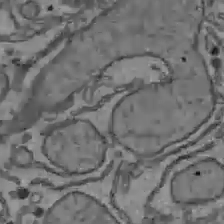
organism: C57BL Mouse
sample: Liver